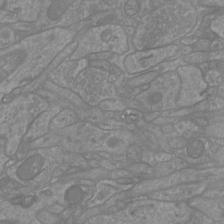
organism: Mouse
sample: Cortical neurons